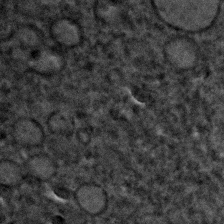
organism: C. elegans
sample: C. elegans embryo